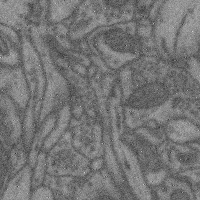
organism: Mouse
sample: Cerebral cortex